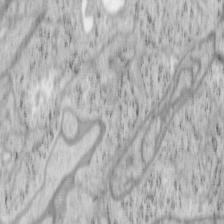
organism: Human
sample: HeLa cells